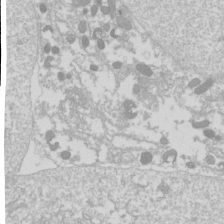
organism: Drosophila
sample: Cell division; meiosis; drosophila spermatocytes